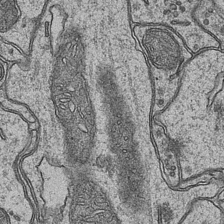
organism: Mouse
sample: CA1 Hippocampus